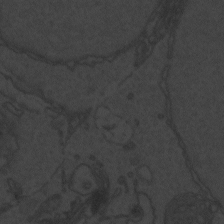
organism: Zebrafish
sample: Macrophage infected with Toxoplasma gondii